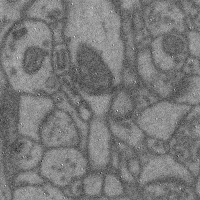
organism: Mouse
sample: Cerebral cortex